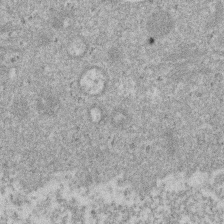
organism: Mouse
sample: Dividing mouse embryo 1 cell stage